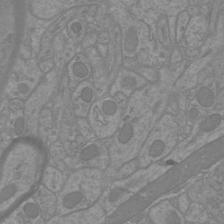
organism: Mouse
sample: Cortical neurons